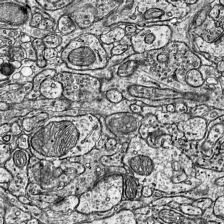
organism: Mouse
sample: Visual Cortex